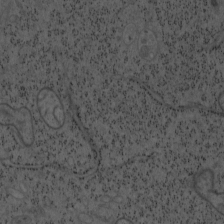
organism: Mouse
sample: OT-I killer T cells with ID8 ovarian cancer cells